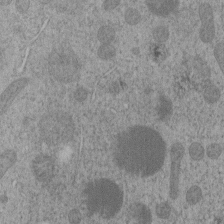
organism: C. elegans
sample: C. elegans embryo early stage